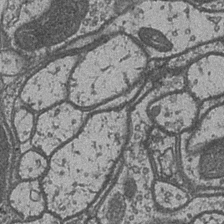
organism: Drosophila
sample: Optic medulla